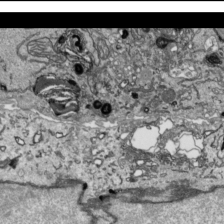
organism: Human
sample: Mitochondria in HCT116 cells